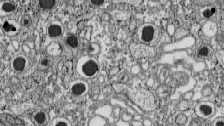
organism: C57BL Mouse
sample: Pancreatic islet